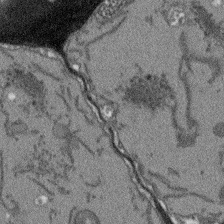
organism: Arabidopsis thaliana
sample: Root tip